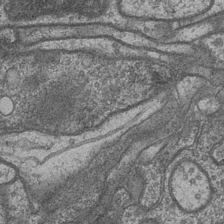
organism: Drosophila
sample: Optic medulla